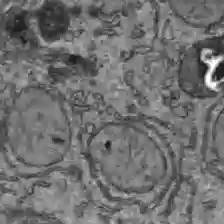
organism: C57BL Mouse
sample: Liver